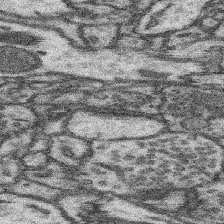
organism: Mouse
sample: Somatosensory cortex neuropil